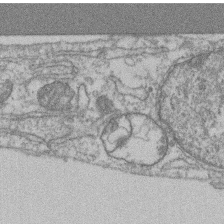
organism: Mouse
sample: T cell stromal cell synapse